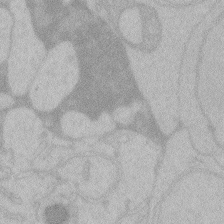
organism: Zebrafish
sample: Macrophage infected with Toxoplasma gondii